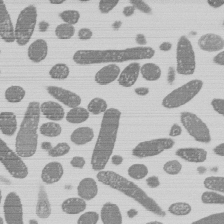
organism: E. coli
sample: Bacterial nucleoid